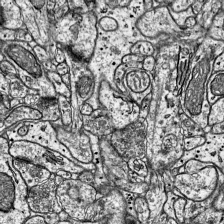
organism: Mouse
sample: Visual Cortex